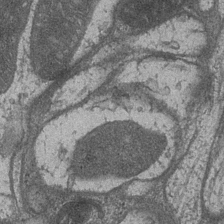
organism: Drosophila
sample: Optic medulla